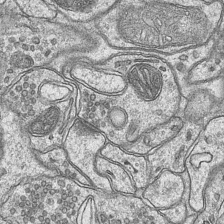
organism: Mouse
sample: CA1 Hippocampus